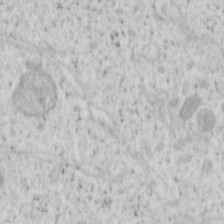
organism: Human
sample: HeLa cells